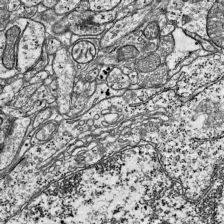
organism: Mouse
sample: Visual Cortex